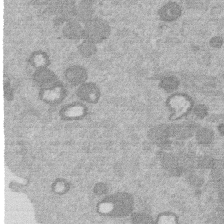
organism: Mouse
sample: Dividing mouse embryo 1 cell stage